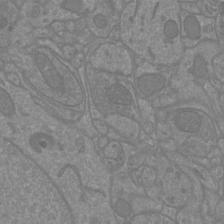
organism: Mouse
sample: Cortical neurons